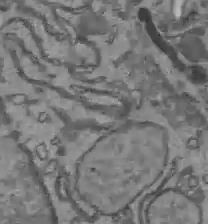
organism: C57BL Mouse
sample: Liver